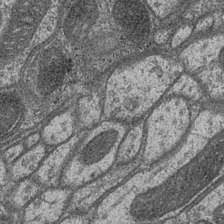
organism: Drosophila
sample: Optic medulla